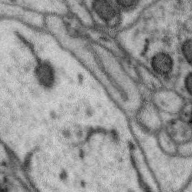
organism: Zebra finch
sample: Brain